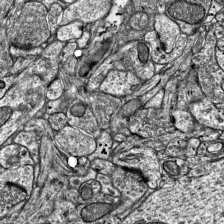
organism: Mouse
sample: Visual Cortex